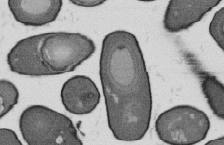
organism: B. subtilis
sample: Bacterial spore